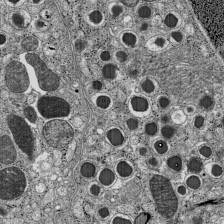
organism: C57BL Mouse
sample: Pancreatic islet